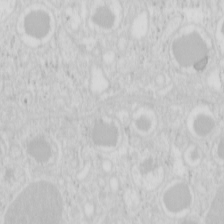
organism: Mouse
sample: Pancreas